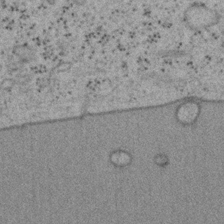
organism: Human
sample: HeLa cells